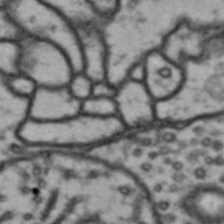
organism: Drosophila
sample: Brain